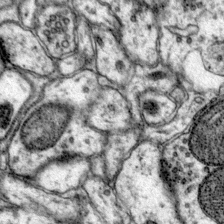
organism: Mouse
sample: Primary visual cortex